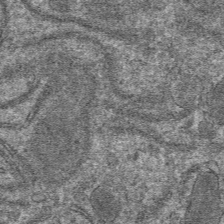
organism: Mouse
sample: Mouse hepatocytes